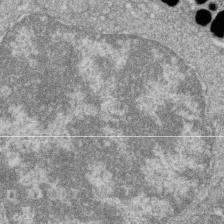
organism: Zebrafish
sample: Cilia; retinal pigment epithelium